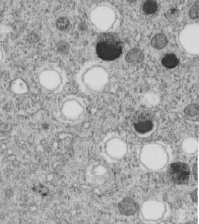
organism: C. elegans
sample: C. elegans embryo early stage